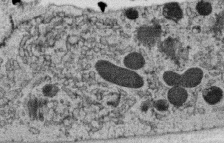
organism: C. elegans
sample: C. elegans oocyte; sperm cells